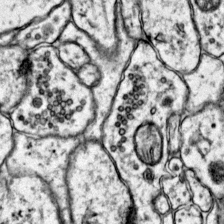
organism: Mouse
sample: Primary visual cortex